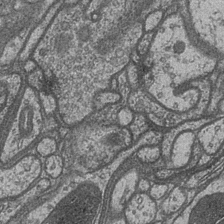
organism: Drosophila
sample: Optic medulla